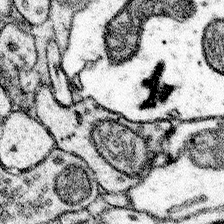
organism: Mouse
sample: Somatosensory cortex neuropil